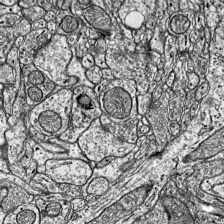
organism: Mouse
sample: Visual Cortex